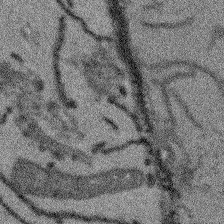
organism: Arabidopsis thaliana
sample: Root tip